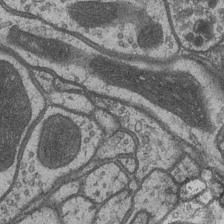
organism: Drosophila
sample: Optic medulla